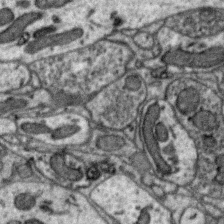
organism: Zebra finch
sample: Brain